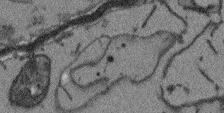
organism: Arabidopsis thaliana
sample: Root tip